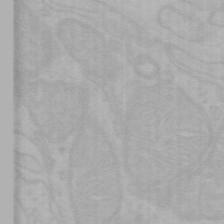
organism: Mouse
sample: Choroid plexus